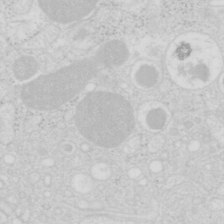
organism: Mouse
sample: Pancreas